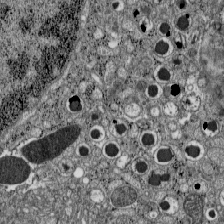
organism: C57BL Mouse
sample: Pancreatic islet